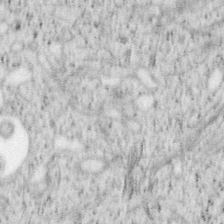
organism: Mouse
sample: OT-I killer T cells with ID8 ovarian cancer cells